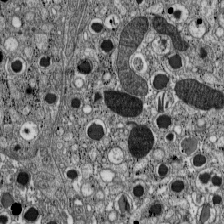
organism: C57BL Mouse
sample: Pancreatic islet